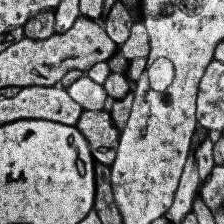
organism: Human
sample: Temporal Lobe